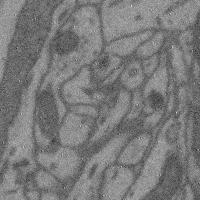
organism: Mouse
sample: Cerebral cortex